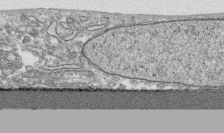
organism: Human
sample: CRL-1474